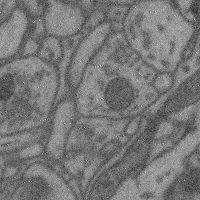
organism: Mouse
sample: Cerebral cortex